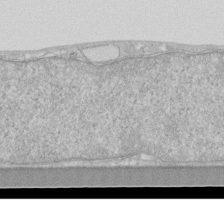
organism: Human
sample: Fibroblast cells